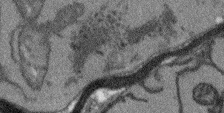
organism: Arabidopsis thaliana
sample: Root tip